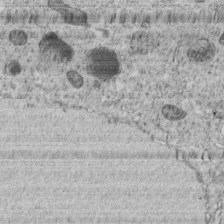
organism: C. elegans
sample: C. elegans embryo early stage